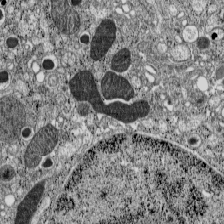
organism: C57BL Mouse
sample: Pancreatic islet